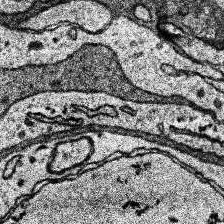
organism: Human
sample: Temporal Lobe